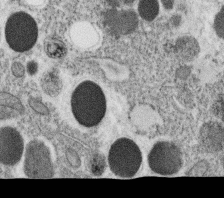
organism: C. elegans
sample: C. elegans oocyte; sperm cells